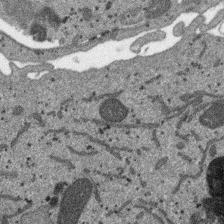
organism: Human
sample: Lung epithelial cells infected with SARS-CoV-2